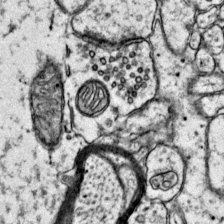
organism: Mouse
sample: Primary visual cortex